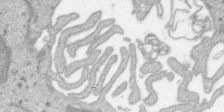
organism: Human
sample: Lung epithelial cells infected with SARS-CoV-2